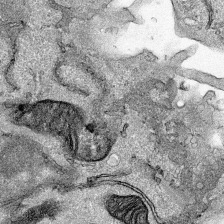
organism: Human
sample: Mitochondria in HCT116 cells